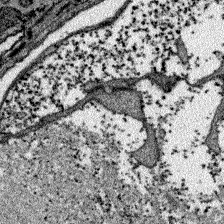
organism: Zebrafish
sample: Larval olfactory bulb